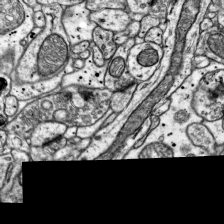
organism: Mouse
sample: Visual Cortex